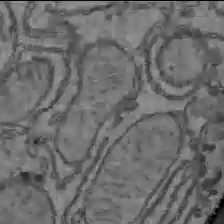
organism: C57BL Mouse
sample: Liver